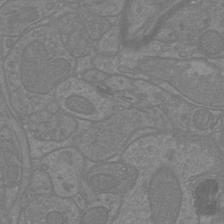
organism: Mouse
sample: Cortical neurons